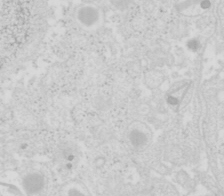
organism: Mouse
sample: Pancreas